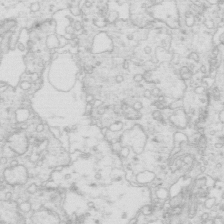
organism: Mouse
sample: Multiciliated cells